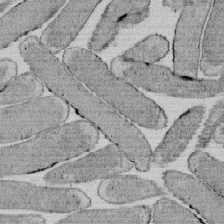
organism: E. coli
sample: Bacterial nucleoid